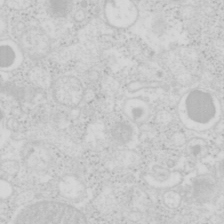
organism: Mouse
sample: Pancreas